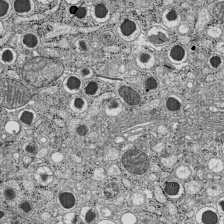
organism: C57BL Mouse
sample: Pancreatic islet